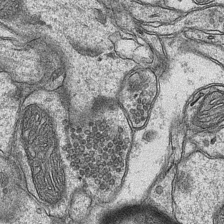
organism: Mouse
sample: CA1 Hippocampus